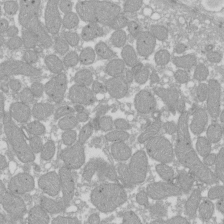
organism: Xenopus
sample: Cilia; centrioles in frog embryo cells